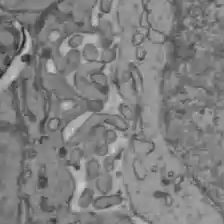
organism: C57BL Mouse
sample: Liver